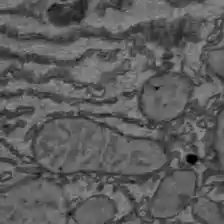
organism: C57BL Mouse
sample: Liver